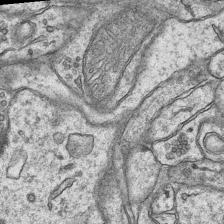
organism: Mouse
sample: CA1 Hippocampus